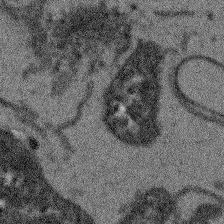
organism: Arabidopsis thaliana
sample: Root tip